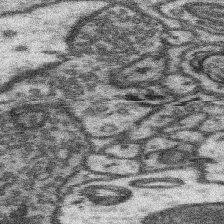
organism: Mouse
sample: Somatosensory cortex neuropil